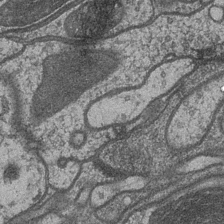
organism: Drosophila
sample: Optic medulla